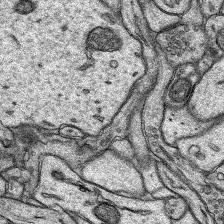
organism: Rat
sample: Hippocampus